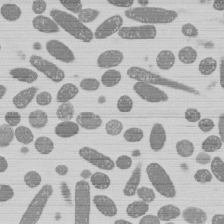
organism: E. coli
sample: Bacterial nucleoid